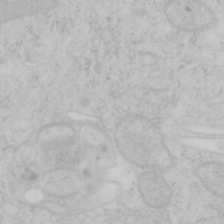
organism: Mouse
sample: OT-I killer T cells with ID8 ovarian cancer cells